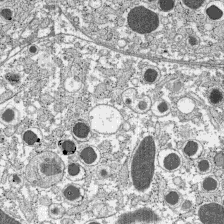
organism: C57BL Mouse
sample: Pancreatic islet